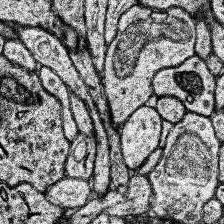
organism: Human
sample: Temporal Lobe